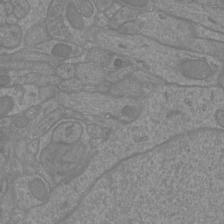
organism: Mouse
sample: Cortical neurons